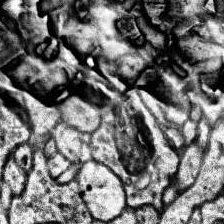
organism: Human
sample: Temporal Lobe